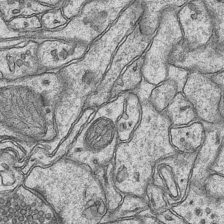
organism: Mouse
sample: CA1 Hippocampus